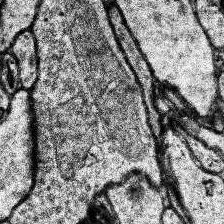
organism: Human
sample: Temporal Lobe